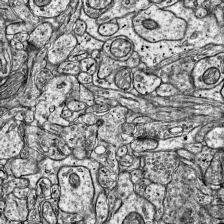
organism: Mouse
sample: Visual Cortex